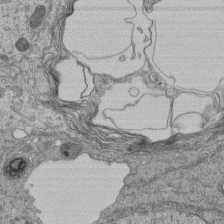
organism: Human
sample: Retinal organoid Rod and Cone cells